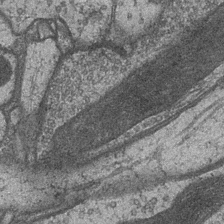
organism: Drosophila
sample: Optic medulla